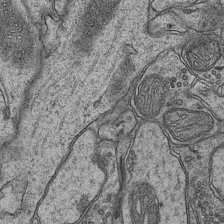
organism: Mouse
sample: CA1 Hippocampus